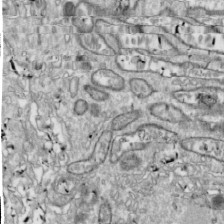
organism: Drosophila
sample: Cell division; meiosis; drosophila spermatocytes